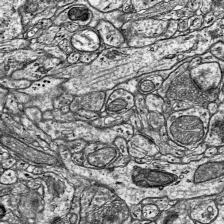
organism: Mouse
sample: Visual Cortex